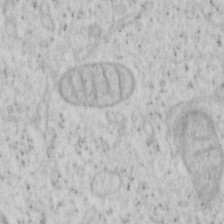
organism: Human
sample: HeLa cells